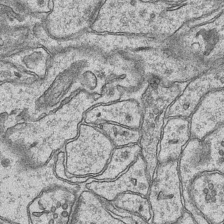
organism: Mouse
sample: CA1 Hippocampus